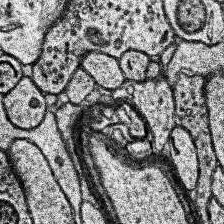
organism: Human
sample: Temporal Lobe